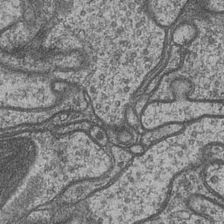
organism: Drosophila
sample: Optic medulla